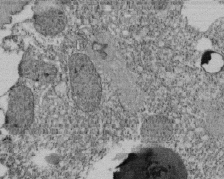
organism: Tetrahymena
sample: Cilia in tetrahymena